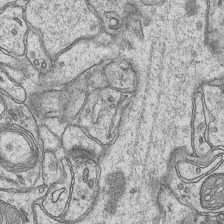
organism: Mouse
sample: CA1 Hippocampus